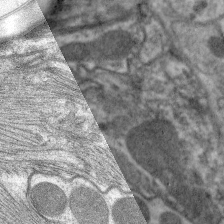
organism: C. elegans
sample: Pharynx